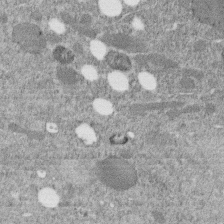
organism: C. elegans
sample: C. elegans embryo early stage